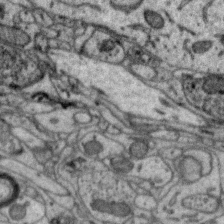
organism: Zebra finch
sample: Brain